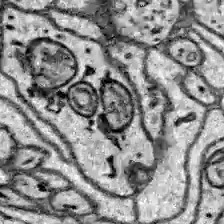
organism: Zebrafish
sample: Brain